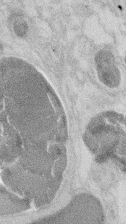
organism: Mouse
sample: T cell stromal cell synapse